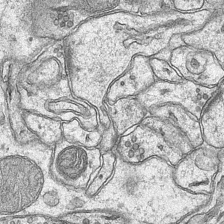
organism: Mouse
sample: CA1 Hippocampus